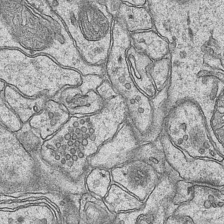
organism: Mouse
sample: CA1 Hippocampus